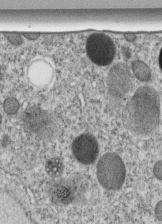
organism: C. elegans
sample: C. elegans embryo early stage